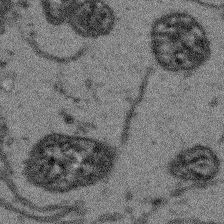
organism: Arabidopsis thaliana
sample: Root tip